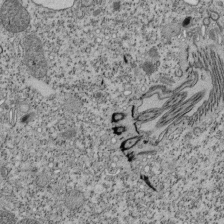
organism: Tetrahymena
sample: Cilia in tetrahymena